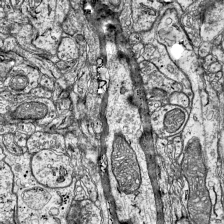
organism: Mouse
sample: Visual Cortex